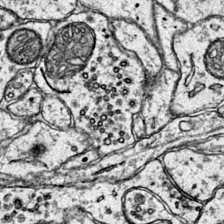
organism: Mouse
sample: Primary visual cortex